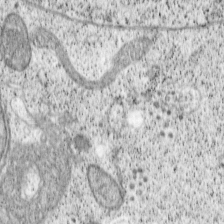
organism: African green monkey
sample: COS-7 cells